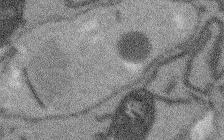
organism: Arabidopsis thaliana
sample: Root tip